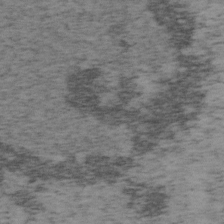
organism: Mouse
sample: OT-I killer T cells with ID8 ovarian cancer cells